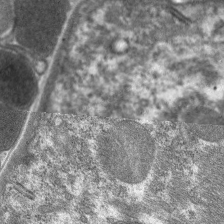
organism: C. elegans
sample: Pharynx